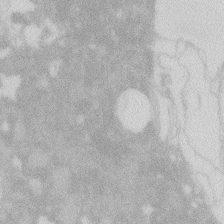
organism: Zebrafish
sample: Macrophage